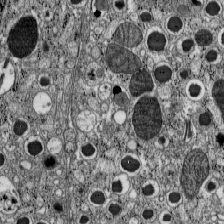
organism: C57BL Mouse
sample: Pancreatic islet